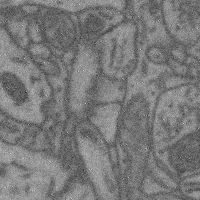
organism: Mouse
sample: Cerebral cortex